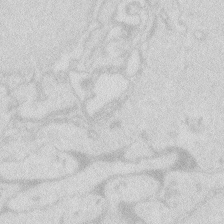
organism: Zebrafish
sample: Macrophage